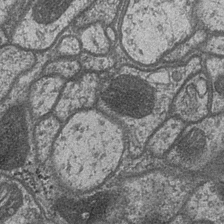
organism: Drosophila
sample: Optic medulla